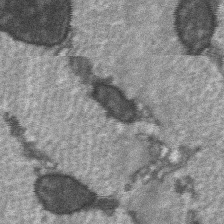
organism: C57BL Mouse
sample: Soleus